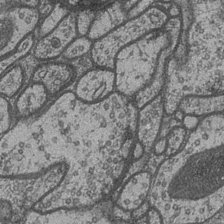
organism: Drosophila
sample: Optic medulla